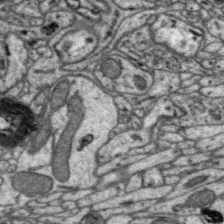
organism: Zebra finch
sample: Brain